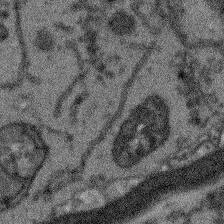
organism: Arabidopsis thaliana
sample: Root tip